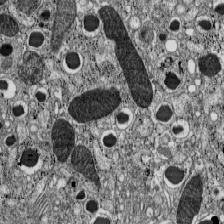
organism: C57BL Mouse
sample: Pancreatic islet